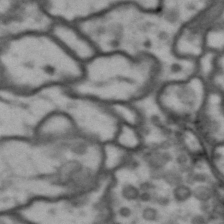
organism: Drosophila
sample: Brain